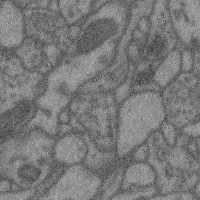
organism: Mouse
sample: Cerebral cortex